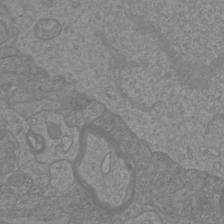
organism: Mouse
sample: Cortical neurons